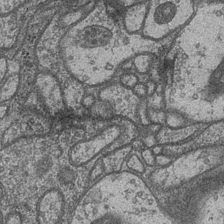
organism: Drosophila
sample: Optic medulla